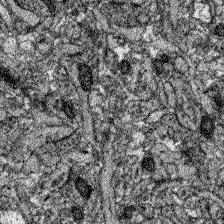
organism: Zebrafish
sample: Larval olfactory bulb